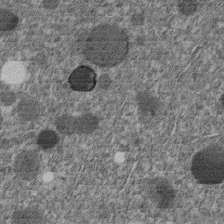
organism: C. elegans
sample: C. elegans embryo early stage